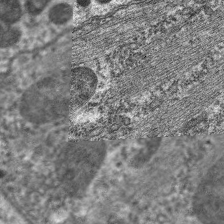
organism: C. elegans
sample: Pharynx